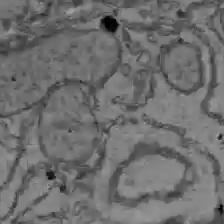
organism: C57BL Mouse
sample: Liver